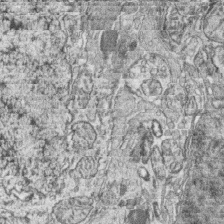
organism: Zebrafish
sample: synaptic ribbons in rod cells and cone cells